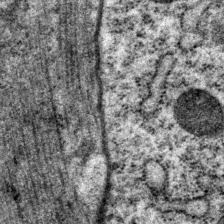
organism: P. pacificus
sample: Pharynx